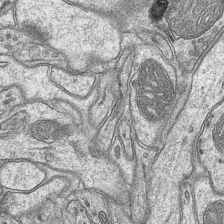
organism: Mouse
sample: CA1 Hippocampus